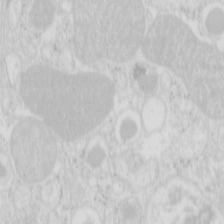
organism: Mouse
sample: Pancreas